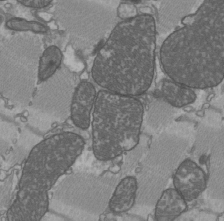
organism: C57BL Mouse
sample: Heart